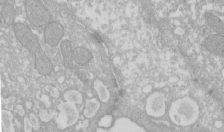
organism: Xenopus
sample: Cilia; centrioles in frog embryo cells